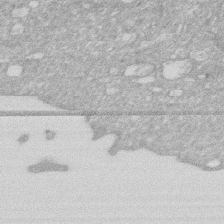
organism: Human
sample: HIV infected U937 cells